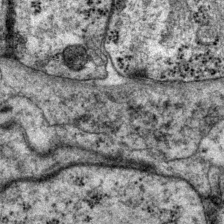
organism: P. pacificus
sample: Pharynx